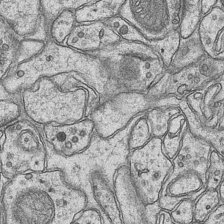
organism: Mouse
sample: CA1 Hippocampus